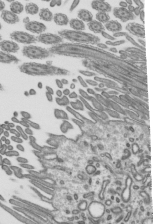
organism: Mouse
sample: Mouse epididymis efferent ductule cilia